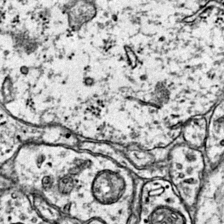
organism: Mouse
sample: Primary visual cortex